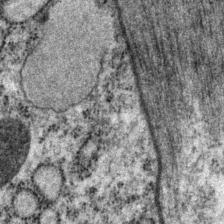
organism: P. pacificus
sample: Pharynx